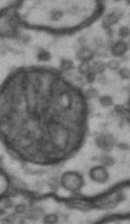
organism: Drosophila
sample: Brain